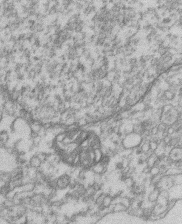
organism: Mouse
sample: T cell stromal cell synapse